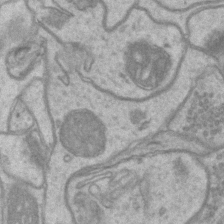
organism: Mouse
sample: CA1 Hippocampus